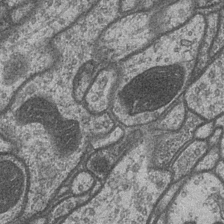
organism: Drosophila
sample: Optic medulla